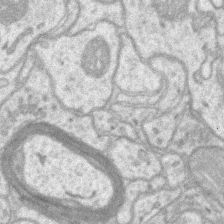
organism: Mouse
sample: CA1 Hippocampus